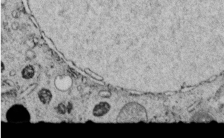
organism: C. elegans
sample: C. elegans embryo early stage